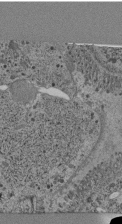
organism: C. elegans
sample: C. elegans pharynx